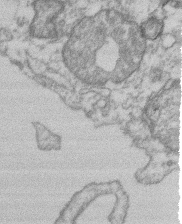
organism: Mouse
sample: T cell stromal cell synapse